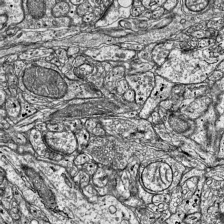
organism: Mouse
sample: Visual Cortex